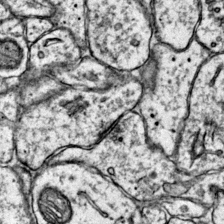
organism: Mouse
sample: Primary visual cortex